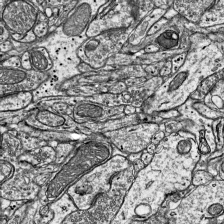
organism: Mouse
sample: Visual Cortex